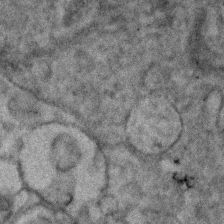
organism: Human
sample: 1205lu cells